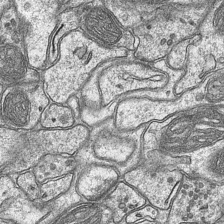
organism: Mouse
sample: CA1 Hippocampus